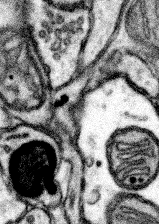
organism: Mouse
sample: Somatosensory cortex neuropil